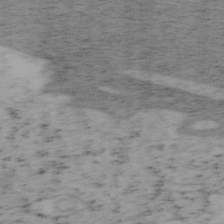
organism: Mouse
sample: OT-I killer T cells with ID8 ovarian cancer cells